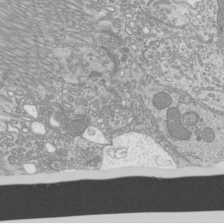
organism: Mouse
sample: Cilia; mouse epididymis